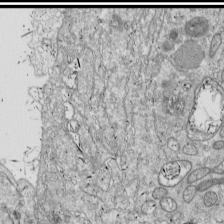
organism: Drosophila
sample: Cell division; meiosis; drosophila spermatocytes